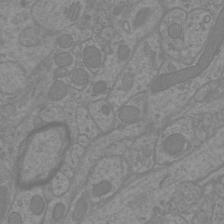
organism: Mouse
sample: Cortical neurons